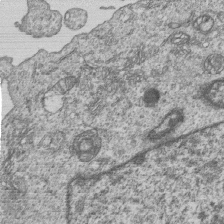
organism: Human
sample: MDA-MB-231 cells